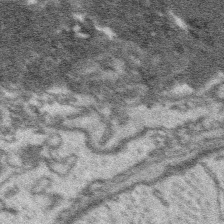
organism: Platynereis dumerilii